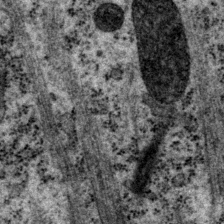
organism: P. pacificus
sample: Pharynx